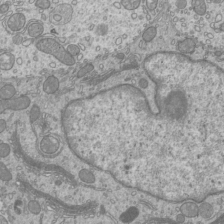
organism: Mouse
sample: Cilia; mouse epididymis